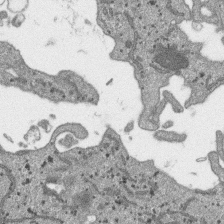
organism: Human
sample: Lung epithelial cells infected with SARS-CoV-2